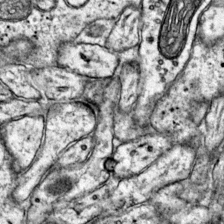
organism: Mouse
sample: Primary visual cortex